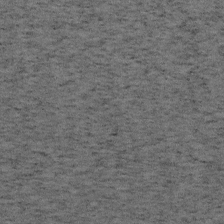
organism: Mouse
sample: OT-I killer T cells with ID8 ovarian cancer cells